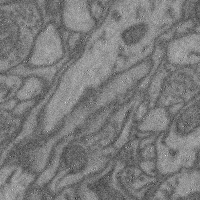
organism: Mouse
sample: Cerebral cortex